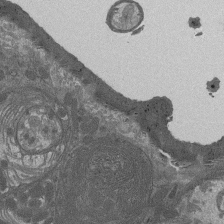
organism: Drosophila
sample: Antenna